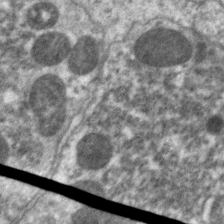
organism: C. elegans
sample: Pharynx